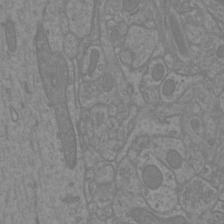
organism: Mouse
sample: Cortical neurons